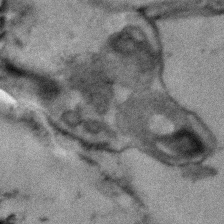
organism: Human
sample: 1205lu cells